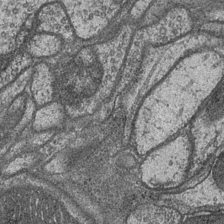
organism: Drosophila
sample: Optic medulla